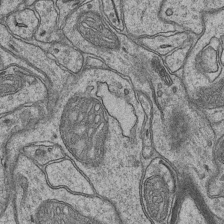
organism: Mouse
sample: CA1 Hippocampus